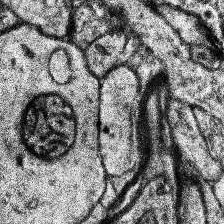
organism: Human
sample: Temporal Lobe